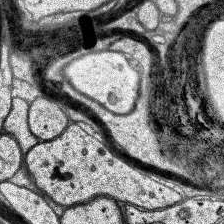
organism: Human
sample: Temporal Lobe